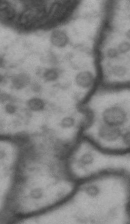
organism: Drosophila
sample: Brain